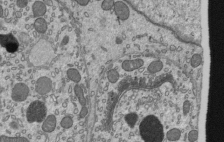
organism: Mouse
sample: Mouse epididymis efferent ductule cilia